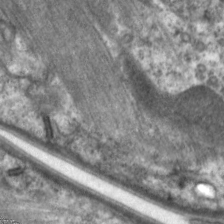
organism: C. elegans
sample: Pharynx